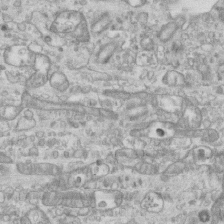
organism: Mouse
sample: Centriole in ependymal cells